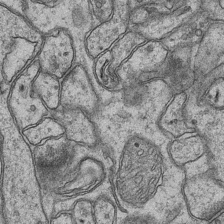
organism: Mouse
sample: CA1 Hippocampus